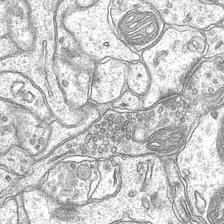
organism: Mouse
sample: CA1 Hippocampus